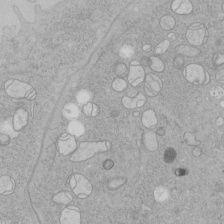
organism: Human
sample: Mitochondria in HCT116 cells